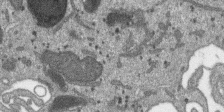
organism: Human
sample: Lung epithelial cells infected with SARS-CoV-2